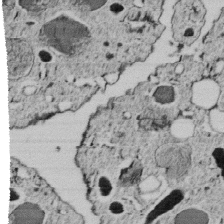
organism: C. elegans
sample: C. elegans embryo early stage